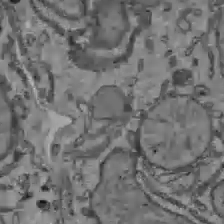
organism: C57BL Mouse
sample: Liver